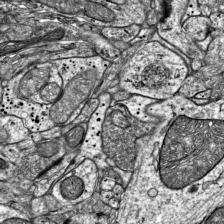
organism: Mouse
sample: Visual Cortex